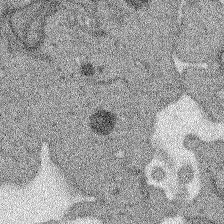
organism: Human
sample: HeLa cells